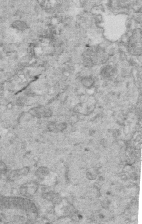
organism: Mouse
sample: Multiciliated cells